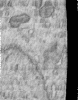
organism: Human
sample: Centriole in RPE cells